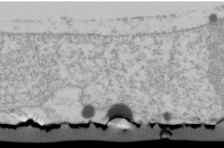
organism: Human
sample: U2-OS cells